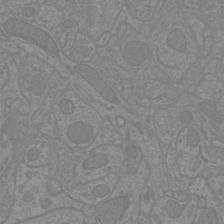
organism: Mouse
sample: Cortical neurons